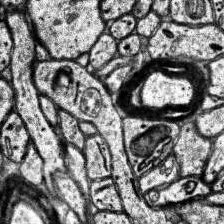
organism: Human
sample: Temporal Lobe